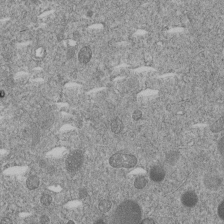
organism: C. elegans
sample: C. elegans embryo early stage